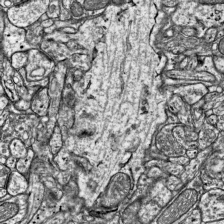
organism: Mouse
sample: Visual Cortex